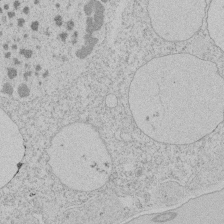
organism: Tetrahymena